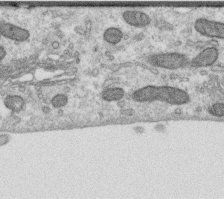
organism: Human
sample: Centriole in RPE cells